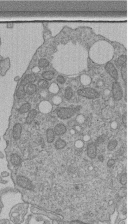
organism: Human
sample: Retinal organoid Rod and Cone cells